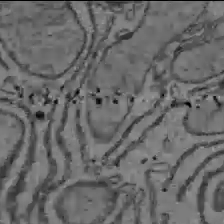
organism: C57BL Mouse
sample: Liver